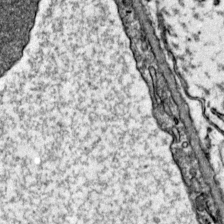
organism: Mouse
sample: Primary visual cortex